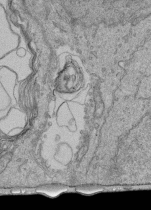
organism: Human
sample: Retinal organoid Rod and Cone cells